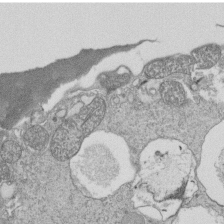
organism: Tetrahymena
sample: Cilia in tetrahymena